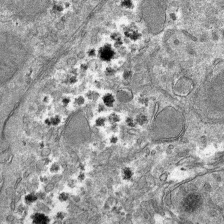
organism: Mouse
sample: Mouse hepatocytes